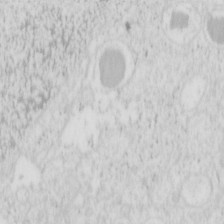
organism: Mouse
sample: Pancreas